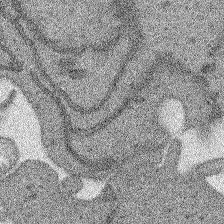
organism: Human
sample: HeLa cells